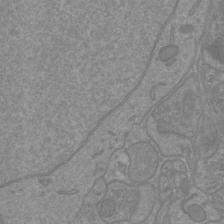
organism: Mouse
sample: Cortical neurons